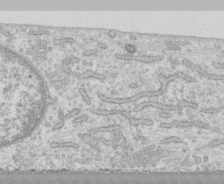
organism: Human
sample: CRL-1474